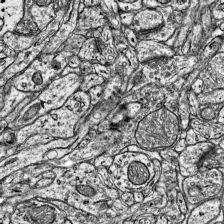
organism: Mouse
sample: Visual Cortex